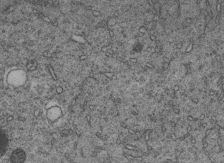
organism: C. elegans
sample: C. elegans embryo early stage